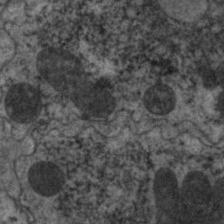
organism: C. elegans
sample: Pharynx